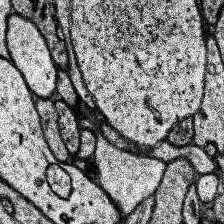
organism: Human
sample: Temporal Lobe